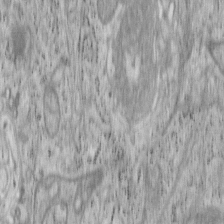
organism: Human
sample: HeLa cells